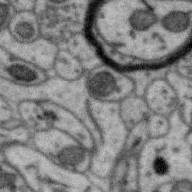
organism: Zebra finch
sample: Brain